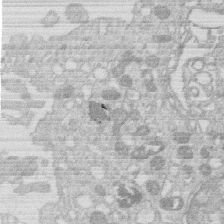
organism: Human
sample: Macrophage cells